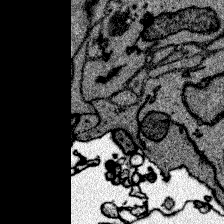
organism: Zebrafish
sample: Larval olfactory bulb